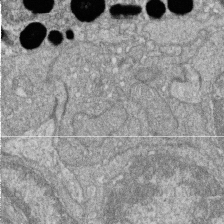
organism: Zebrafish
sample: Cilia; retinal pigment epithelium